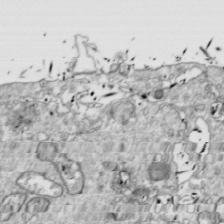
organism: Drosophila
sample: Cell division; meiosis; drosophila spermatocytes